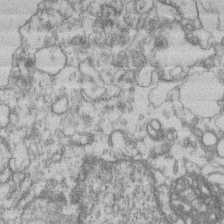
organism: Mouse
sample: T cell stromal cell synapse